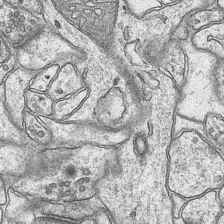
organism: Mouse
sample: CA1 Hippocampus